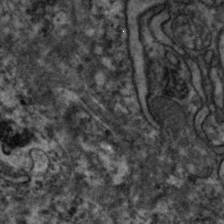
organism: Zebrafish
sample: Zebrafish embryo